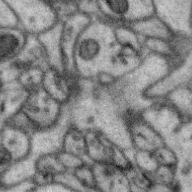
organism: Zebra finch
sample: Brain